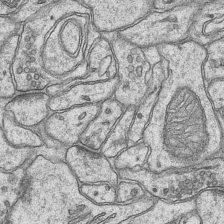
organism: Mouse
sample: CA1 Hippocampus